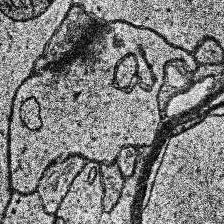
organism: Human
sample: Temporal Lobe